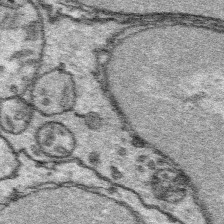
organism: Platynereis dumerilii